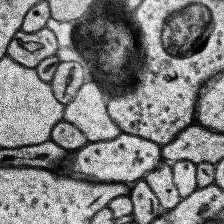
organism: Human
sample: Temporal Lobe